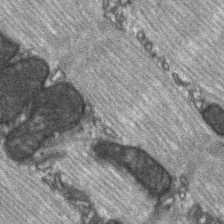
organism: C57BL Mouse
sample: Soleus